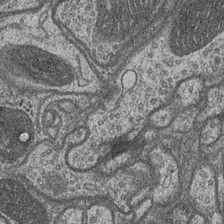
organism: Drosophila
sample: Optic medulla